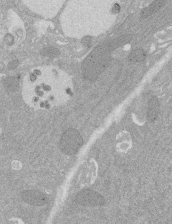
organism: Rat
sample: Salivary granule